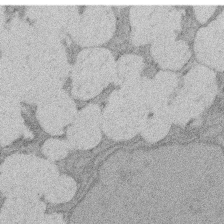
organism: Rat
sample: Salivary granule